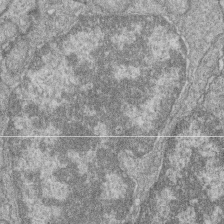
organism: Zebrafish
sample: Cilia; retinal pigment epithelium